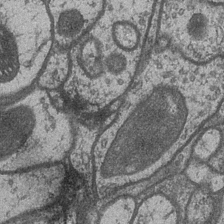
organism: Drosophila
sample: Optic medulla